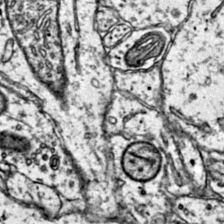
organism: Mouse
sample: Primary visual cortex